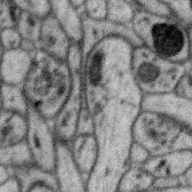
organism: Zebra finch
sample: Brain